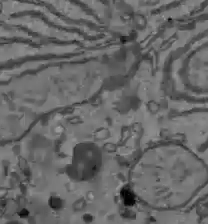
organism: C57BL Mouse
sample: Liver